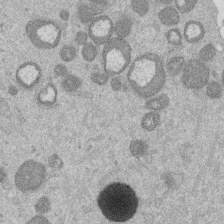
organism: Mouse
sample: Dividing mouse embryo 1 cell stage